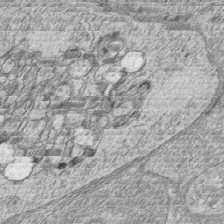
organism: Zebrafish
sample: synaptic ribbons in rod cells and cone cells